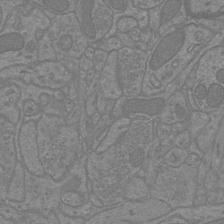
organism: Mouse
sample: Cortical neurons